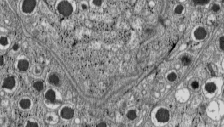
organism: C57BL Mouse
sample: Pancreatic islet